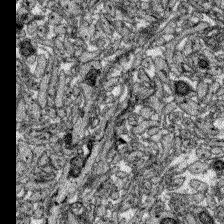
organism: Zebrafish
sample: Larval olfactory bulb